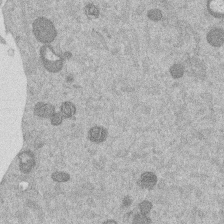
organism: Mouse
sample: Dividing mouse embryo 1 cell stage